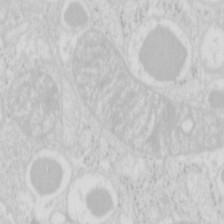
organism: Mouse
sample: Pancreas